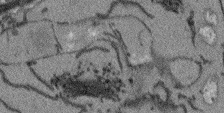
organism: Arabidopsis thaliana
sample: Root tip